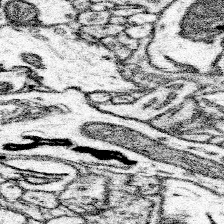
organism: Mouse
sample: Somatosensory cortex neuropil